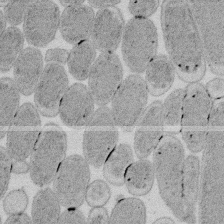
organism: E. coli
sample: Bacterial nucleoid